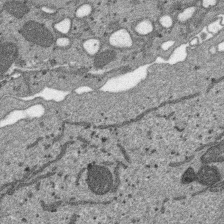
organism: Human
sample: Lung epithelial cells infected with SARS-CoV-2